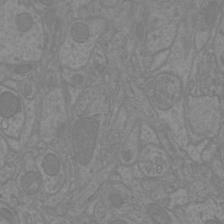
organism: Mouse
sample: Cortical neurons